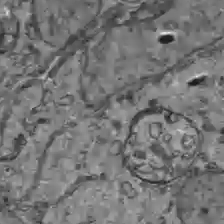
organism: C57BL Mouse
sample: Liver